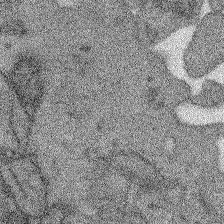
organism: Human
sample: HeLa cells